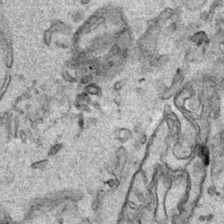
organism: Human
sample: Mitochondria in HCT116 cells